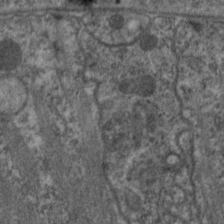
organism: C. elegans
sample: Pharynx